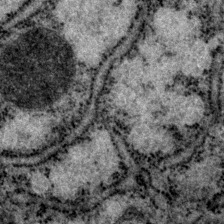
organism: P. pacificus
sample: Pharynx